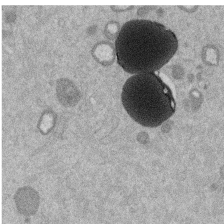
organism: Mouse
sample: Dividing mouse embryo 1 cell stage